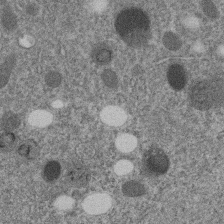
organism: C. elegans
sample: C. elegans embryo early stage